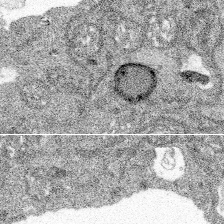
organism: Spongilla lacustris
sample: Multiple